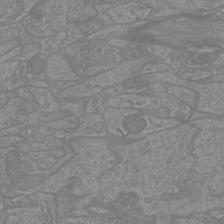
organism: Mouse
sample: Cortical neurons